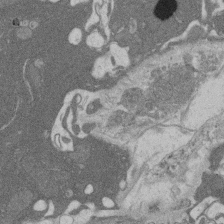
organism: Rat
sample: Salivary granule